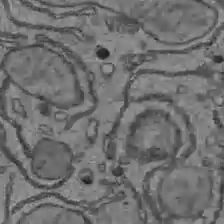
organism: C57BL Mouse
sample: Liver